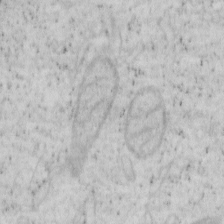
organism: Human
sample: HeLa cells